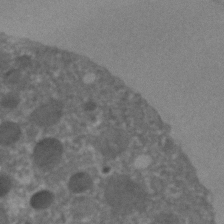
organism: C. elegans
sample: C. elegans embryo